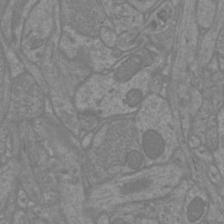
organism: Mouse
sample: Cortical neurons